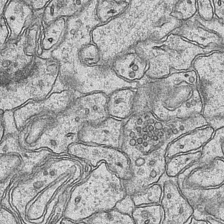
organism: Mouse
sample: CA1 Hippocampus